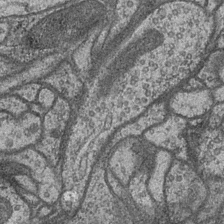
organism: Drosophila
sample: Optic medulla